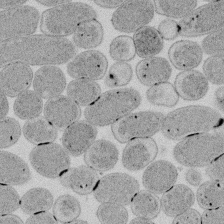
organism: E. coli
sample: Bacterial nucleoid